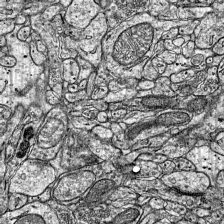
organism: Mouse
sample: Visual Cortex